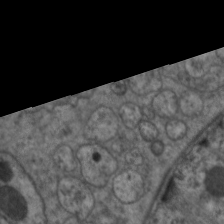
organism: C. elegans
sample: Pharynx